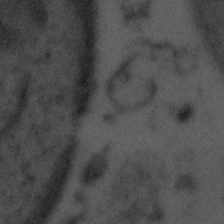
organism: Tuwongella immobilis